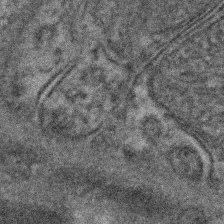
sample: Kidney